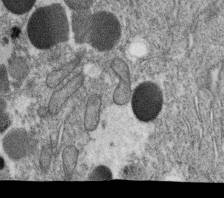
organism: C. elegans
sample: C. elegans oocyte; sperm cells